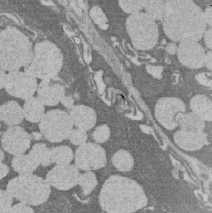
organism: Rat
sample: Salivary granule